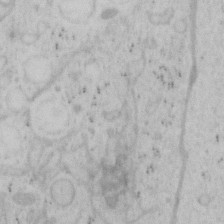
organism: Human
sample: HeLa cells